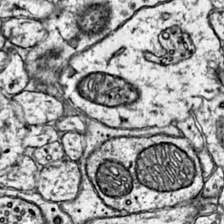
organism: Mouse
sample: Primary visual cortex